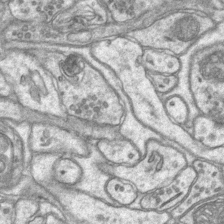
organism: Mouse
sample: CA1 Hippocampus